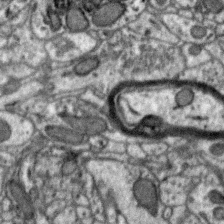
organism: Zebra finch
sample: Brain